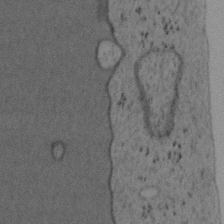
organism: Human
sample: HeLa cells